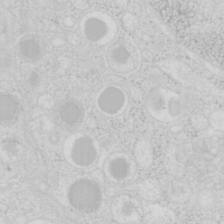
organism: Mouse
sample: Pancreas